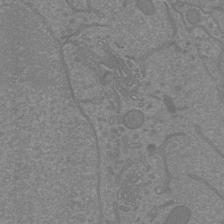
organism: Mouse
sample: Cortical neurons